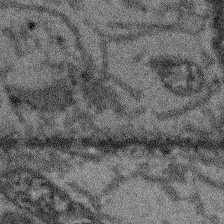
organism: Arabidopsis thaliana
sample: Root tip